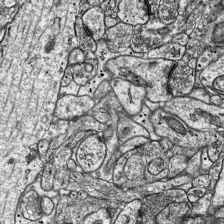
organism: Mouse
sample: Visual Cortex